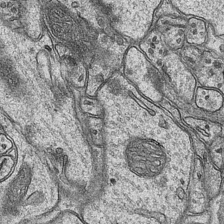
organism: Mouse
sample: CA1 Hippocampus